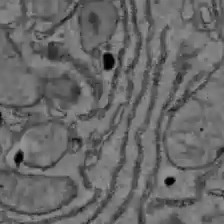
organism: C57BL Mouse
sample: Liver